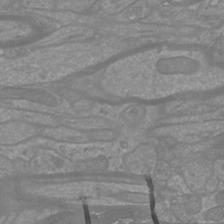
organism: Mouse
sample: Cortical neurons